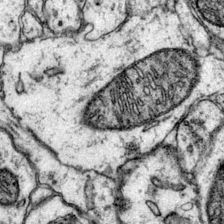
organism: Mouse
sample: Primary visual cortex